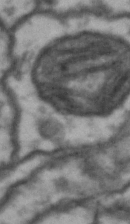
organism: Drosophila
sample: Brain